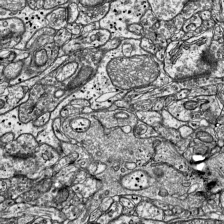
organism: Mouse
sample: Visual Cortex